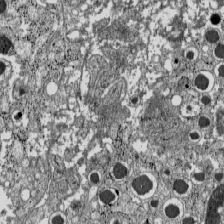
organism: C57BL Mouse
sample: Pancreatic islet